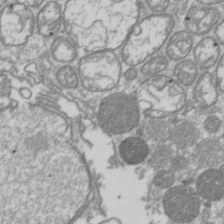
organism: Drosophila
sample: Cell division; meiosis; drosophila spermatocytes